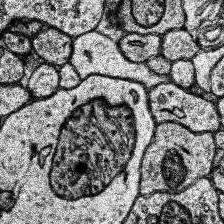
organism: Human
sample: Temporal Lobe